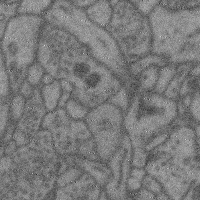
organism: Mouse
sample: Cerebral cortex